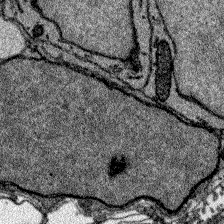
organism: Zebrafish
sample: Larval olfactory bulb